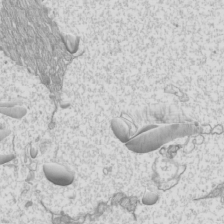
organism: Mouse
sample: Cilia; mouse epididymis